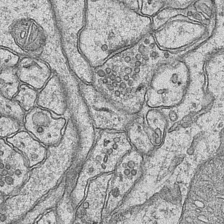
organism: Mouse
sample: CA1 Hippocampus